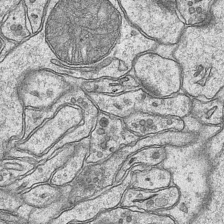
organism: Mouse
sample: CA1 Hippocampus